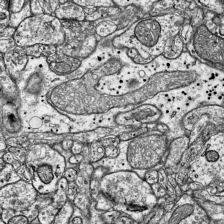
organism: Mouse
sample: Visual Cortex